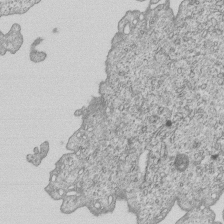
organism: Human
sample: MDA-MB-231 cells